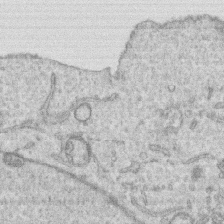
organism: Human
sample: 1205lu cells